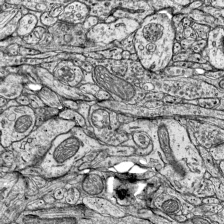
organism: Mouse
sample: Visual Cortex